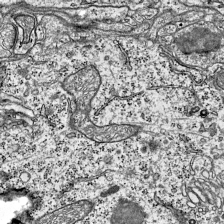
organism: Mouse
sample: Visual Cortex